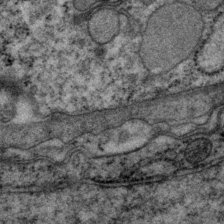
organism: P. pacificus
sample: Pharynx